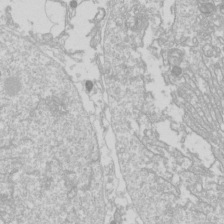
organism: Drosophila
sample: Cell division; meiosis; drosophila spermatocytes